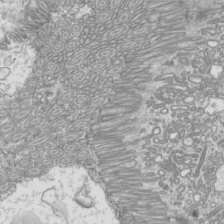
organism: Mouse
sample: Cilia; mouse epididymis